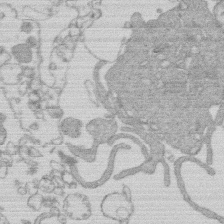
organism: Human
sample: Macrophage cells